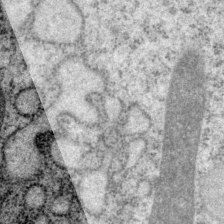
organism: P. pacificus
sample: Pharynx